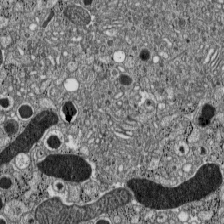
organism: C57BL Mouse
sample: Pancreatic islet